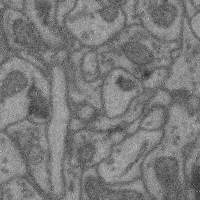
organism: Mouse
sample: Cerebral cortex